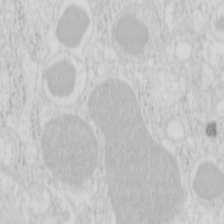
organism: Mouse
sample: Pancreas